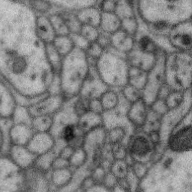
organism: Zebra finch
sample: Brain